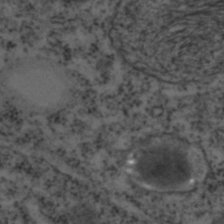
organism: C. elegans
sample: C. elegans embryo